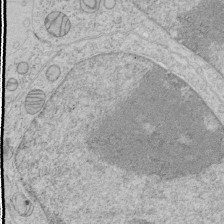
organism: Human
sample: Mitochondria in HCT116 cells